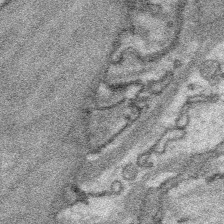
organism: Platynereis dumerilii